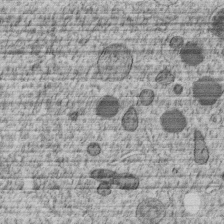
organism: C. elegans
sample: C. elegans embryo early stage